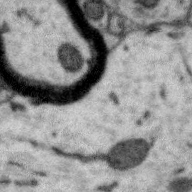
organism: Zebra finch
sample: Brain